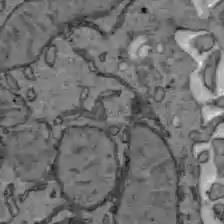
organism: C57BL Mouse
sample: Liver